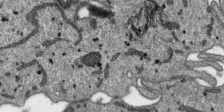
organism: Human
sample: Lung epithelial cells, uninfected (mock) control